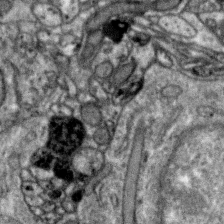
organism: Zebra finch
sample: Brain